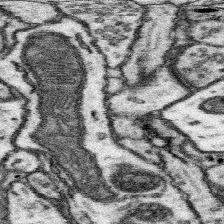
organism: Mouse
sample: Somatosensory cortex neuropil